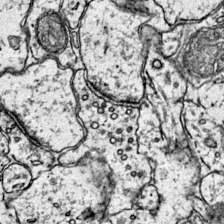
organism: Mouse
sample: Primary visual cortex